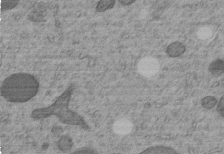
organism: C. elegans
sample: C. elegans embryo early stage